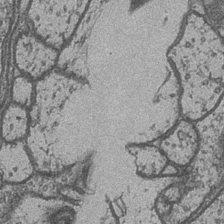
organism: Drosophila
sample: Optic medulla